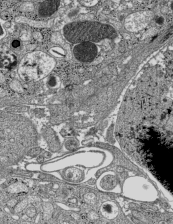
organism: C57BL Mouse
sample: Pancreatic islet